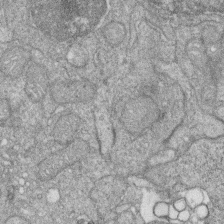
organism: Zebrafish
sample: Cilia; retinal pigment epithelium